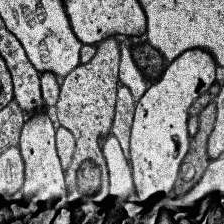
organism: Human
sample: Temporal Lobe